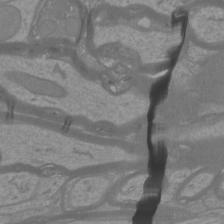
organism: Mouse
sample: Cortical neurons